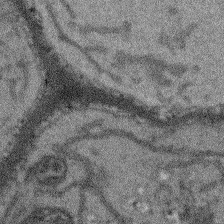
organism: Arabidopsis thaliana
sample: Root tip